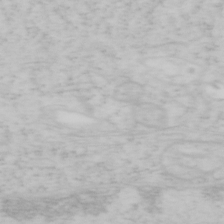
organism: Mouse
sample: OT-I killer T cells with ID8 ovarian cancer cells